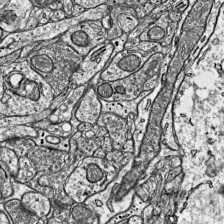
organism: Mouse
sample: Visual Cortex